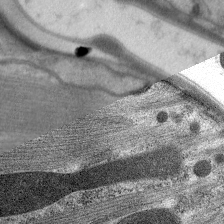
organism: C. elegans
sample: Pharynx